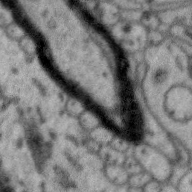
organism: Zebra finch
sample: Brain